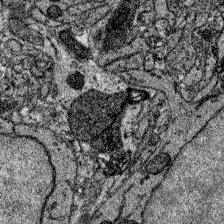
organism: Zebrafish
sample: Larval olfactory bulb